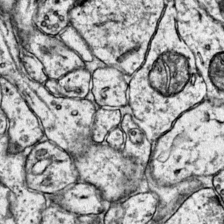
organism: Mouse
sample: Primary visual cortex